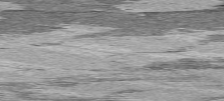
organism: C57BL Mouse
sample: Heart